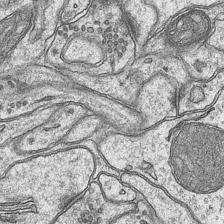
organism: Mouse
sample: CA1 Hippocampus